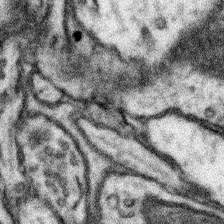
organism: Mouse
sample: Somatosensory cortex neuropil